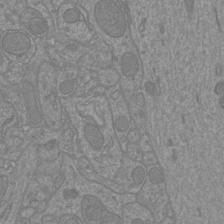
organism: Mouse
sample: Cortical neurons